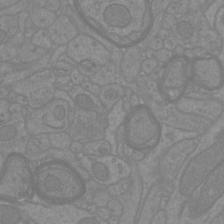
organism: Mouse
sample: Cortical neurons